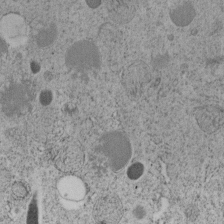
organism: C. elegans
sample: C. elegans embryo early stage